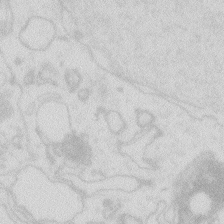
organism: Zebrafish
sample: Macrophage